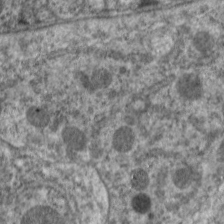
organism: C. elegans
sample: Pharynx